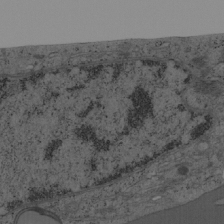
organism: Human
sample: HeLa cells